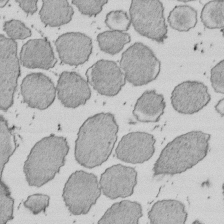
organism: E. coli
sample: Bacterial nucleoid